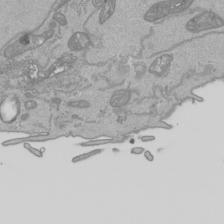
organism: Human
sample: Mitochondria in HCT116 cells